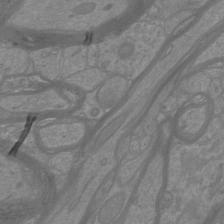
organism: Mouse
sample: Cortical neurons